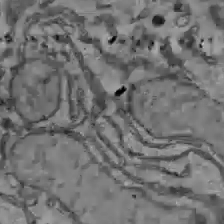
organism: C57BL Mouse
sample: Liver